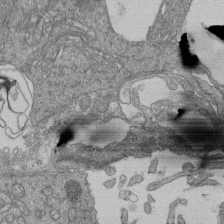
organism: Human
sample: Retinal organoid Rod and Cone cells